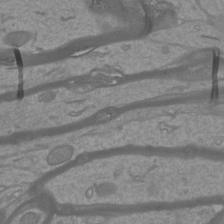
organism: Mouse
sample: Cortical neurons